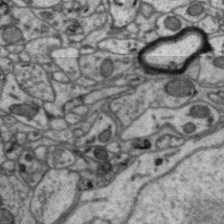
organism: Zebra finch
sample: Brain